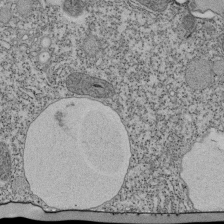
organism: Tetrahymena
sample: Cilia in tetrahymena